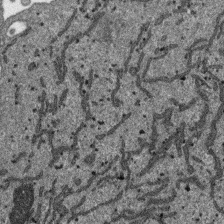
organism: Human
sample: Lung epithelial cells infected with SARS-CoV-2